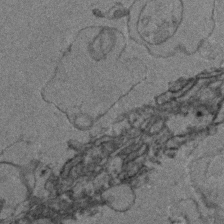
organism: Zebrafish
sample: Zebrafish embryo